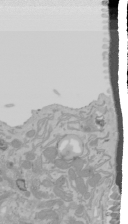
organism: Mouse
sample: Cancer cell death in ED-1 cells